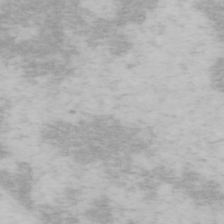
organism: Mouse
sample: OT-I killer T cells with ID8 ovarian cancer cells